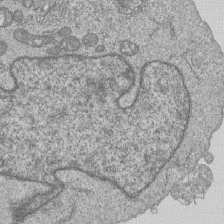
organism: Human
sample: MDA-MB-231 cells